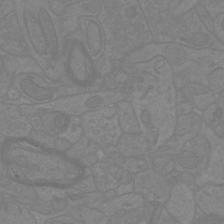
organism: Mouse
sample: Cortical neurons